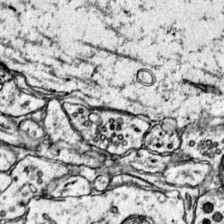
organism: Mouse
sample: Primary visual cortex